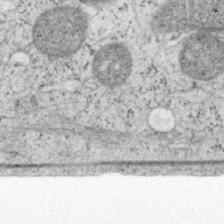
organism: Mouse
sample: OT-I killer T cells with ID8 ovarian cancer cells